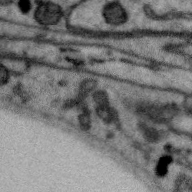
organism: Zebra finch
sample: Brain